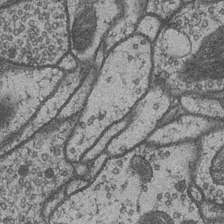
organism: Drosophila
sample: Optic medulla